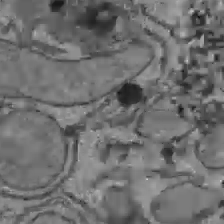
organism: C57BL Mouse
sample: Liver